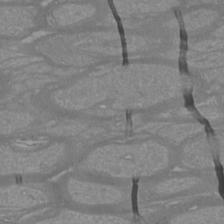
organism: Mouse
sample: Cortical neurons